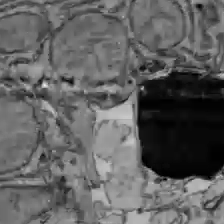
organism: C57BL Mouse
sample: Liver